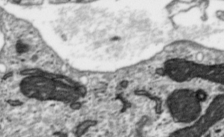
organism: Toxoplasma gondii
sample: Parasites in a vacuole inside a host cell